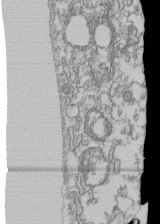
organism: Human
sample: Fibroblast cells